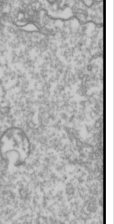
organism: Drosophila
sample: Cell division; meiosis; drosophila spermatocytes